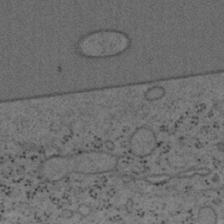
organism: Human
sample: HeLa cells